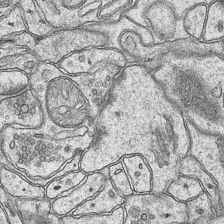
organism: Mouse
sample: CA1 Hippocampus